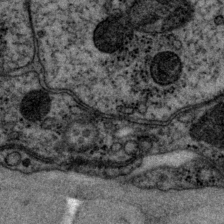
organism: P. pacificus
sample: Pharynx